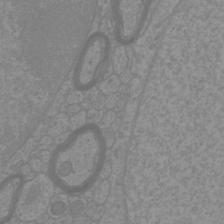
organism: Mouse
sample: Cortical neurons